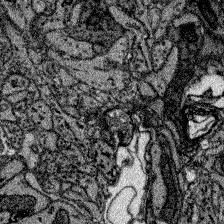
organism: Zebrafish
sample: Larval olfactory bulb